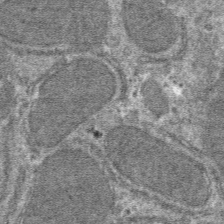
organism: Mouse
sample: Mouse hepatocytes